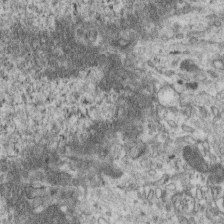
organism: Mouse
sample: Centriole in ependymal cells